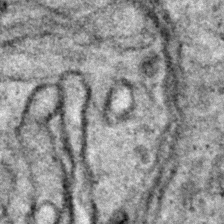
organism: Zebrafish